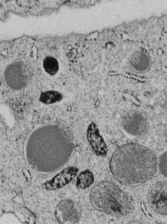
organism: C. elegans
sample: C. elegans embryo early stage